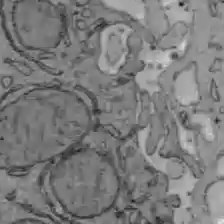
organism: C57BL Mouse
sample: Liver